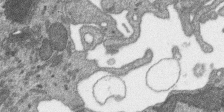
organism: Human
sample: Lung epithelial cells infected with SARS-CoV-2